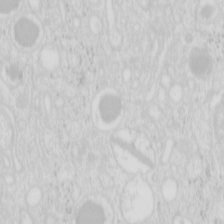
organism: Mouse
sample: Pancreas